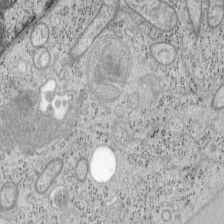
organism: Mouse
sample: OT-I killer T cells with ID8 ovarian cancer cells